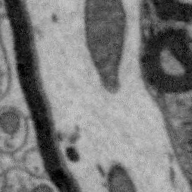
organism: Zebra finch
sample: Brain